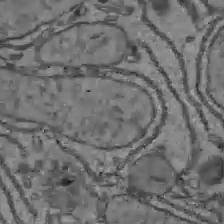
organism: C57BL Mouse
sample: Liver